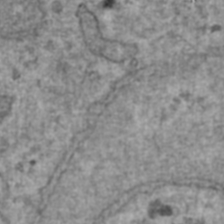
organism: Human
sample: Blood